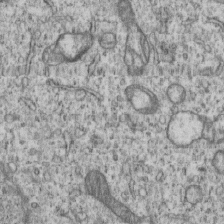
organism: Human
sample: MDA-MB-231 cells